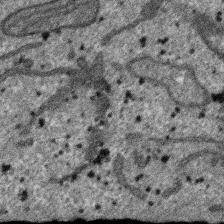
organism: Human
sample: Lung epithelial cells infected with SARS-CoV-2